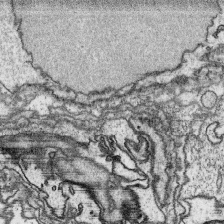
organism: Platynereis dumerilii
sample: Parapodia